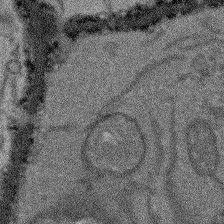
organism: Arabidopsis thaliana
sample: Root tip